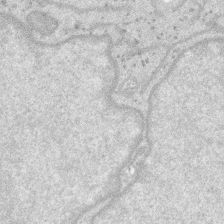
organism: Human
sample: Lung epithelial cells infected with SARS-CoV-2